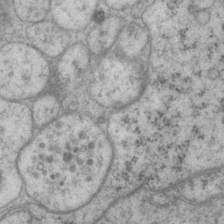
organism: P. pacificus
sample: Pharynx